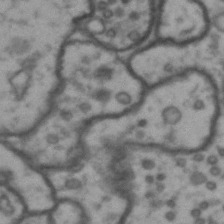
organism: Drosophila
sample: Brain